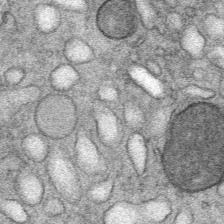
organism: Mouse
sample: Mouse Salivary gland